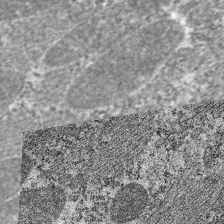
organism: C. elegans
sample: Pharynx